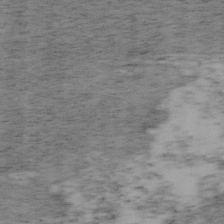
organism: Mouse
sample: OT-I killer T cells with ID8 ovarian cancer cells